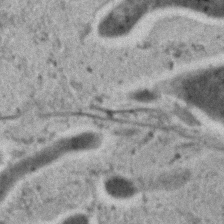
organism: C. elegans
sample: C. elegans embryo